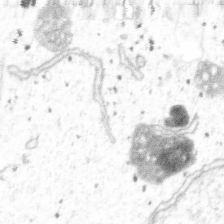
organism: Human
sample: HeLa cells